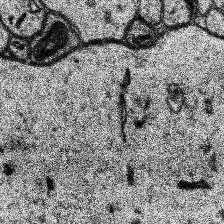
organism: Human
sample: Temporal Lobe